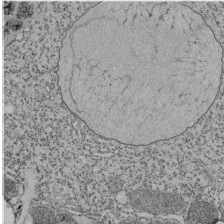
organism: Tetrahymena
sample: Cilia in tetrahymena